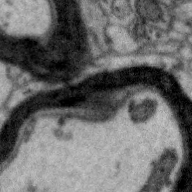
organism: Zebra finch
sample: Brain